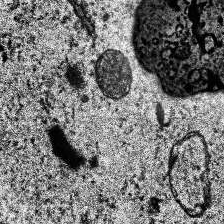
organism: Human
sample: Temporal Lobe